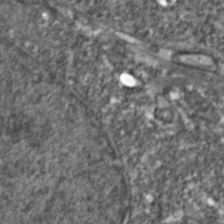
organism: Zebrafish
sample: Zebrafish embryo